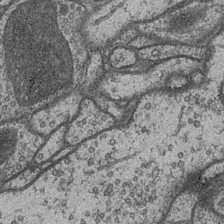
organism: Drosophila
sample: Optic medulla